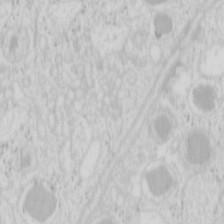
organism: Mouse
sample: Pancreas